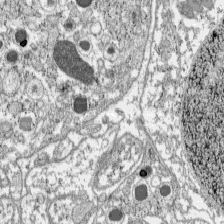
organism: C57BL Mouse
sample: Pancreatic islet